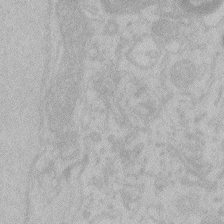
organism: Zebrafish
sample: Macrophage infected with Toxoplasma gondii